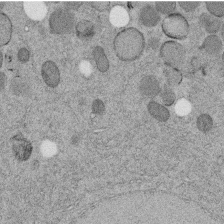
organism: C. elegans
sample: C. elegans embryo early stage